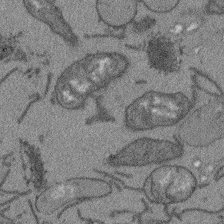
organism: Arabidopsis thaliana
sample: Root tip